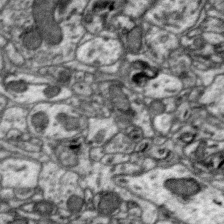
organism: Zebra finch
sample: Brain